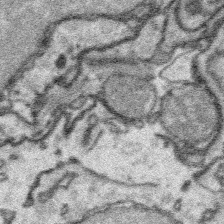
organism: Platynereis dumerilii